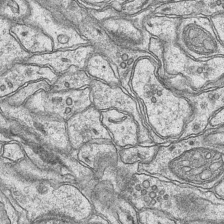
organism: Mouse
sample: CA1 Hippocampus